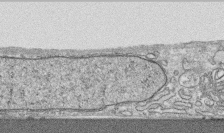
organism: Human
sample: CRL-1474